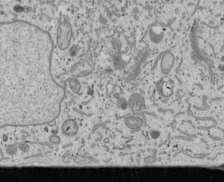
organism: Human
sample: Mitochondria in U2OS cells